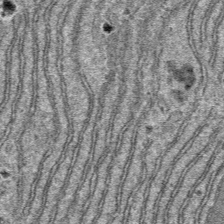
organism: Mouse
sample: Mouse hepatocytes